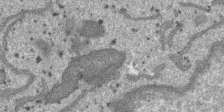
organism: Human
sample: Lung epithelial cells infected with SARS-CoV-2